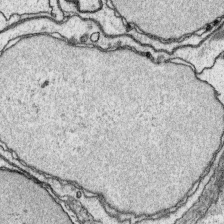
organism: Platynereis dumerilii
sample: Parapodia